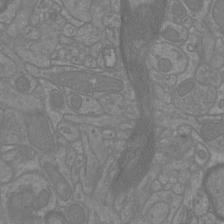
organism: Mouse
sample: Cortical neurons